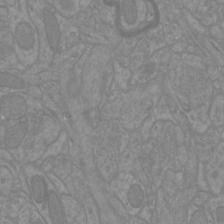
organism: Mouse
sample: Cortical neurons